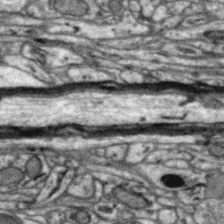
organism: Zebra finch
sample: Brain